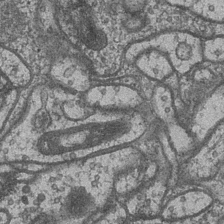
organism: Drosophila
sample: Optic medulla